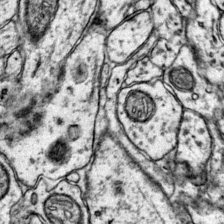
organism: Mouse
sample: Primary visual cortex